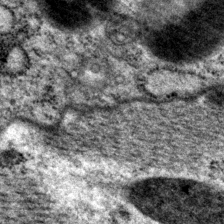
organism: P. pacificus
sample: Pharynx